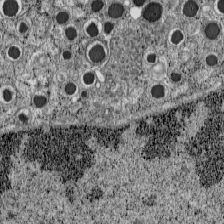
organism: C57BL Mouse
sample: Pancreatic islet